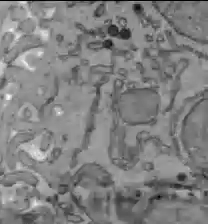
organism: C57BL Mouse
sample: Liver